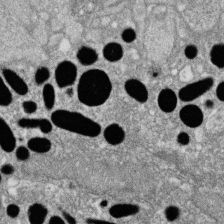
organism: Zebrafish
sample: Cilia; retinal pigment epithelium